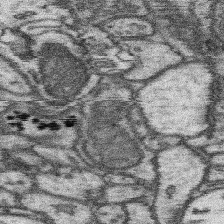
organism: Mouse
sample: Somatosensory cortex neuropil